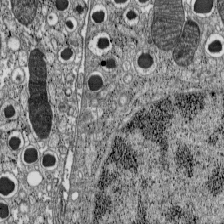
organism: C57BL Mouse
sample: Pancreatic islet